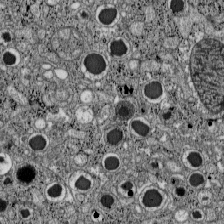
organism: C57BL Mouse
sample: Pancreatic islet